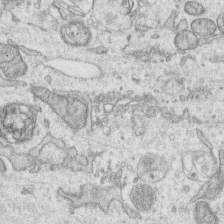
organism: Human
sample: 1205lu cells